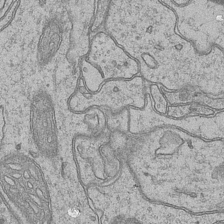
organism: Mouse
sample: CA1 Hippocampus